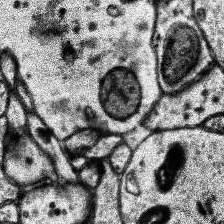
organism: Human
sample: Temporal Lobe